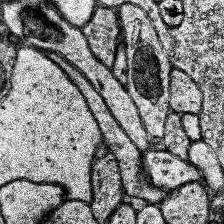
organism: Human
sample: Temporal Lobe